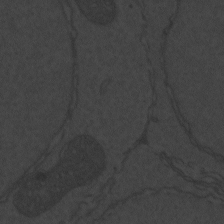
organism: Zebrafish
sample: Macrophage infected with Toxoplasma gondii